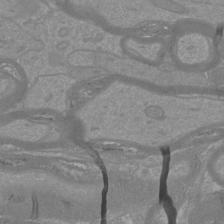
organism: Mouse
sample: Cortical neurons